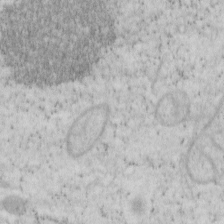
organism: Human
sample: HeLa cells